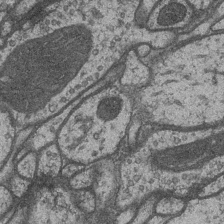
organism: Drosophila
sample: Optic medulla